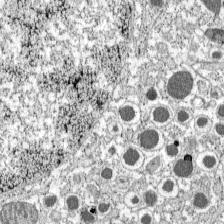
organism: C57BL Mouse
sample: Pancreatic islet